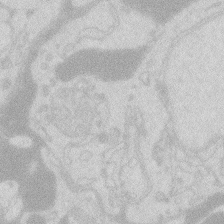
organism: Zebrafish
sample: Macrophage